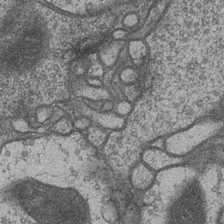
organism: Drosophila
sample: Optic medulla